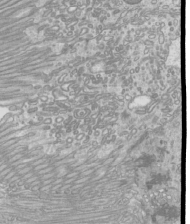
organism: Mouse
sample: Cilia; mouse epididymis